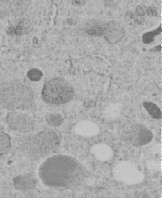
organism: C. elegans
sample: C. elegans embryo early stage